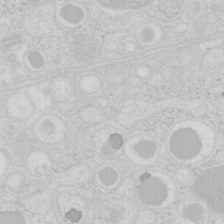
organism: Mouse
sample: Pancreas